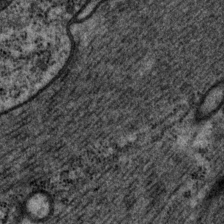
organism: P. pacificus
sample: Pharynx